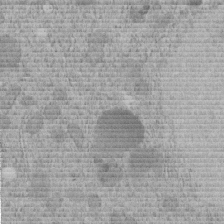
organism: C. elegans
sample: C. elegans embryo early stage